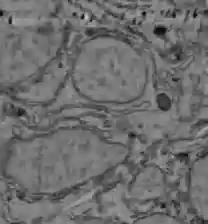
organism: C57BL Mouse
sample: Liver